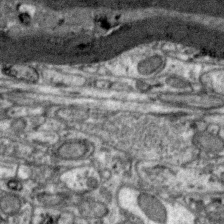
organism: Zebra finch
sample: Brain